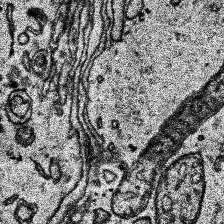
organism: Human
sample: Temporal Lobe